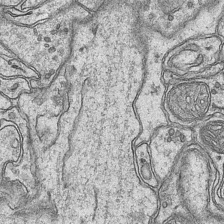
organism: Mouse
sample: CA1 Hippocampus